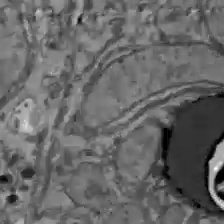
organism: C57BL Mouse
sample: Liver